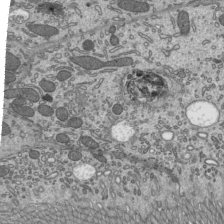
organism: Mouse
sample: Mouse epididymis efferent ductule cilia